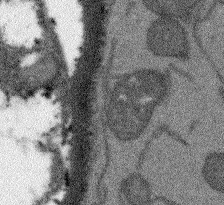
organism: Arabidopsis thaliana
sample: Root tip